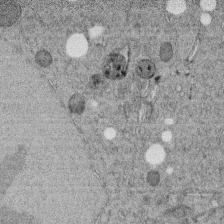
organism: C. elegans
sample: C. elegans embryo early stage